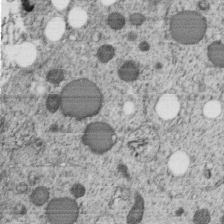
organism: C. elegans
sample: C. elegans embryo early stage